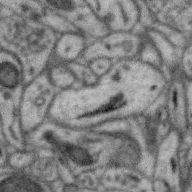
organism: Zebra finch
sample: Brain